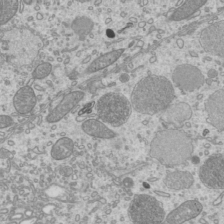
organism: Mouse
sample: Cilia; mouse epididymis